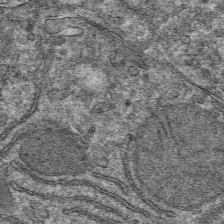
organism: Mouse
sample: Mouse hepatocytes